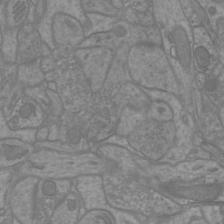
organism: Mouse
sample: Cortical neurons